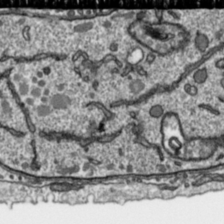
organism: Toxoplasma gondii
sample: Parasites in a vacuole inside a host cell